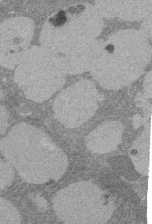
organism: Rat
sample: Salivary granule